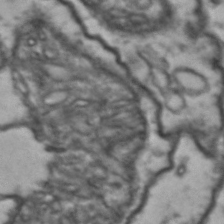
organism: Drosophila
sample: Brain